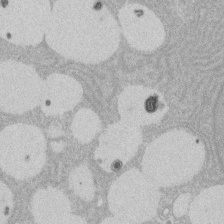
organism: Rat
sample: Salivary granule